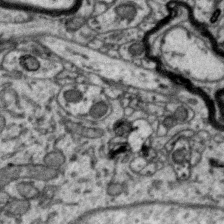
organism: Zebra finch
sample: Brain